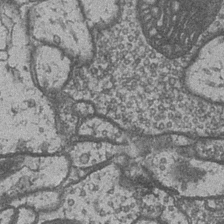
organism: Drosophila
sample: Optic medulla